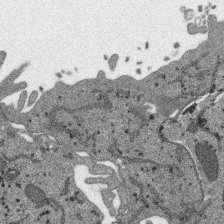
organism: Human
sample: Lung epithelial cells infected with SARS-CoV-2